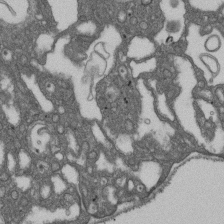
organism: Drosophila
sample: Nephrocyte